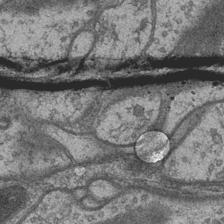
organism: Drosophila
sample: Optic medulla